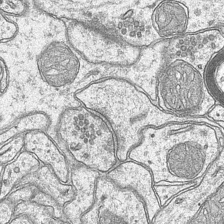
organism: Mouse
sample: CA1 Hippocampus